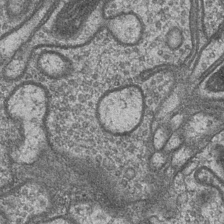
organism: Drosophila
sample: Optic medulla